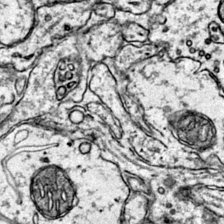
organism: Mouse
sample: Primary visual cortex